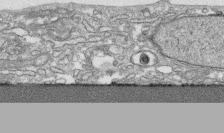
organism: Human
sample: CRL-1474